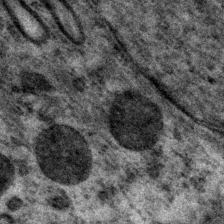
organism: P. pacificus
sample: Pharynx